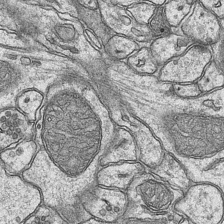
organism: Mouse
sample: CA1 Hippocampus